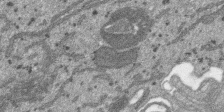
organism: Human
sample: Lung epithelial cells infected with SARS-CoV-2